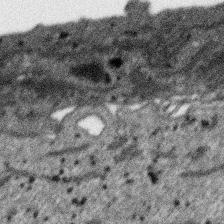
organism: Human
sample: Lung epithelial cells infected with SARS-CoV-2